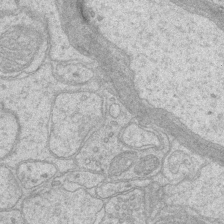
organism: Mouse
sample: CA1 Hippocampus